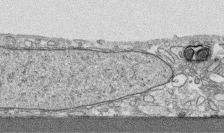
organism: Human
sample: CRL-1474